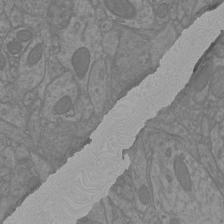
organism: Mouse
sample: Cortical neurons